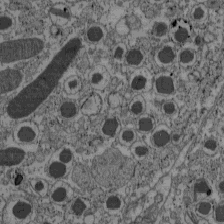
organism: C57BL Mouse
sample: Pancreatic islet